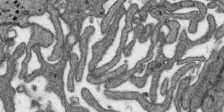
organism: Human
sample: Lung epithelial cells, uninfected (mock) control